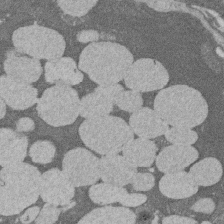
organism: Rat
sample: Salivary granule